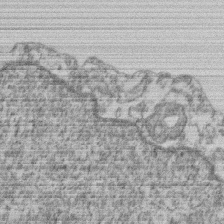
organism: Mouse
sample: T cell stromal cell synapse